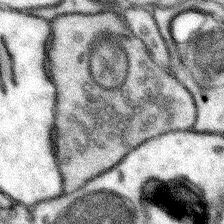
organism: Mouse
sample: Somatosensory cortex neuropil